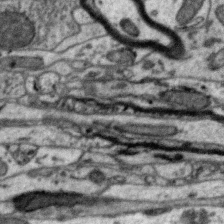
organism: Zebra finch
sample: Brain